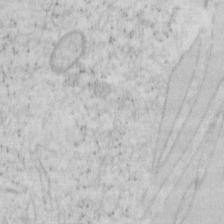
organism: Human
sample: HeLa cells